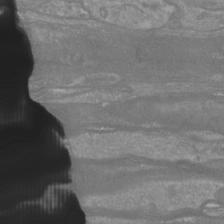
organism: Mouse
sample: Cortical neurons